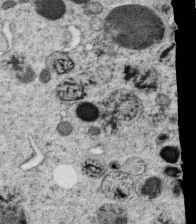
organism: C. elegans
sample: C. elegans oocyte; sperm cells